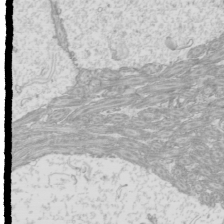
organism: Mouse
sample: Cilia; mouse epididymis